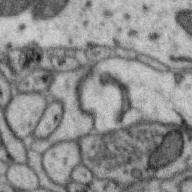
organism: Zebra finch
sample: Brain